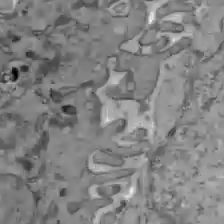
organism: C57BL Mouse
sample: Liver